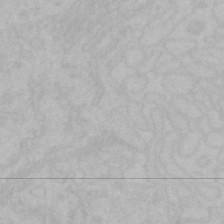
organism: Mouse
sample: Choroid plexus